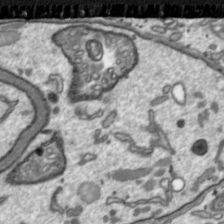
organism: Toxoplasma gondii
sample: Parasites in a vacuole inside a host cell